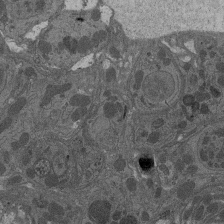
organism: Drosophila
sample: Antenna